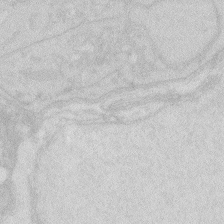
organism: Zebrafish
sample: Macrophage